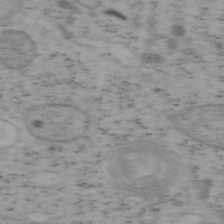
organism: Mouse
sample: OT-I killer T cells with ID8 ovarian cancer cells